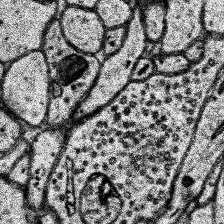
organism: Human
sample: Temporal Lobe